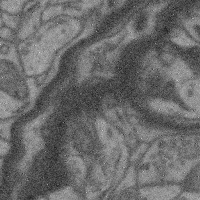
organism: Mouse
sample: Cerebral cortex